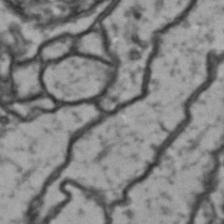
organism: Drosophila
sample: Brain